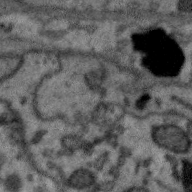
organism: Zebra finch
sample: Brain